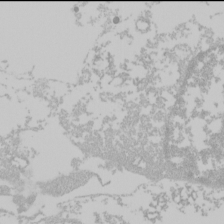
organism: Mouse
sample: Cancer cell death in ED-1 cells